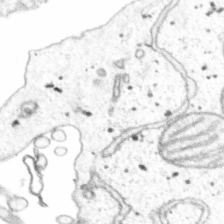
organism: Human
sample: HeLa cells